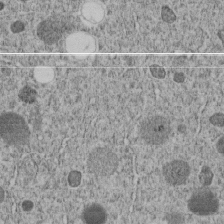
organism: C. elegans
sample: C. elegans embryo early stage